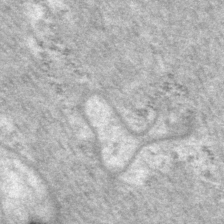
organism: P. pacificus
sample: Pharynx